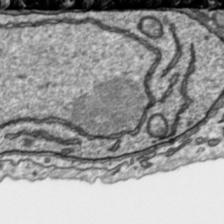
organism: Toxoplasma gondii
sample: Parasites in a vacuole inside a host cell